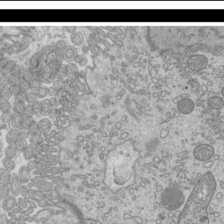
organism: Mouse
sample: Cilia; mouse epididymis